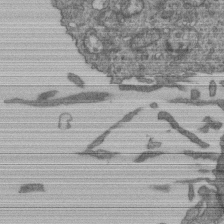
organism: Human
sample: Retinal organoid Rod and Cone cells